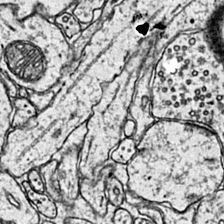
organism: Mouse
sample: Primary visual cortex